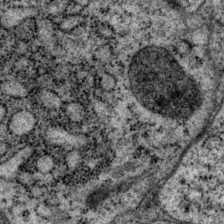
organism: P. pacificus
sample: Pharynx